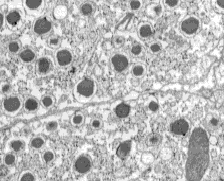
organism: C57BL Mouse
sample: Pancreatic islet